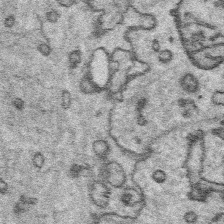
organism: Platynereis dumerilii